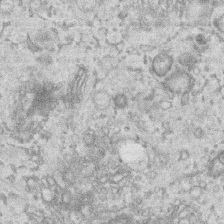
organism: Human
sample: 1205lu cells